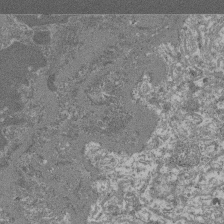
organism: Mouse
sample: Glomerulus